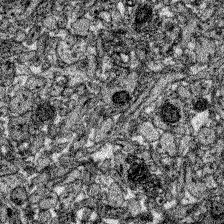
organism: Zebrafish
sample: Larval olfactory bulb